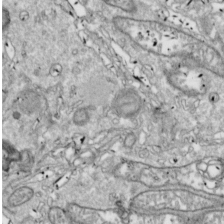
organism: Drosophila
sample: Cell division; meiosis; drosophila spermatocytes